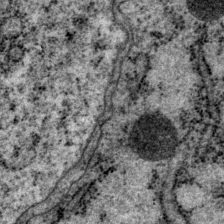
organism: P. pacificus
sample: Pharynx